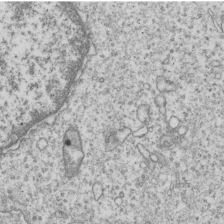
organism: Human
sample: MDA-MB-231 cells